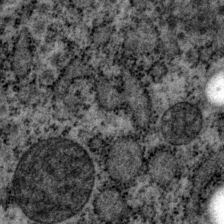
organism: P. pacificus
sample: Pharynx